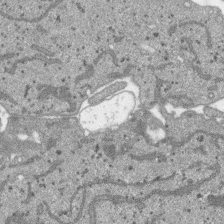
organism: Human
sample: Lung epithelial cells infected with SARS-CoV-2